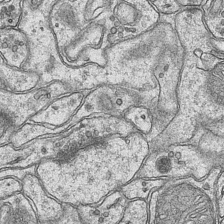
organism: Mouse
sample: CA1 Hippocampus